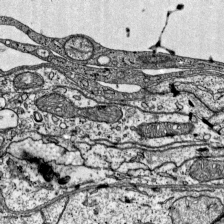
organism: Mouse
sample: Visual Cortex